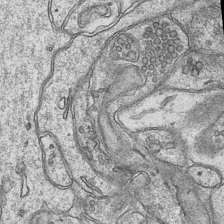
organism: Mouse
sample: CA1 Hippocampus